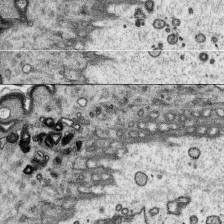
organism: Platynereis dumerilii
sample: Parapodia